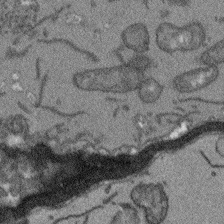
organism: Arabidopsis thaliana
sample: Root tip